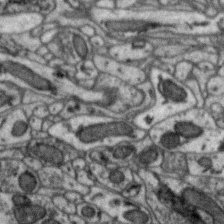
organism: Zebra finch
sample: Brain